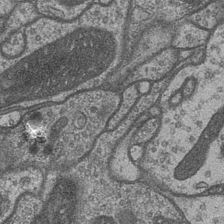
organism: Drosophila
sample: Optic medulla